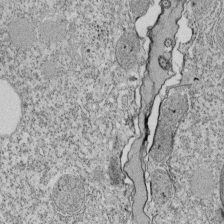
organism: Tetrahymena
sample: Cilia in tetrahymena